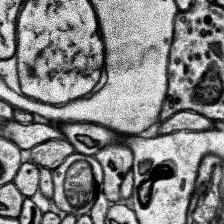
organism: Human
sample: Temporal Lobe